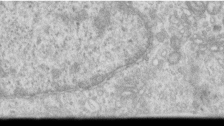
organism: Human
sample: Centriole in RPE cells